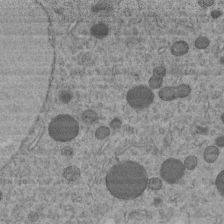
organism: C. elegans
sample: C. elegans embryo early stage